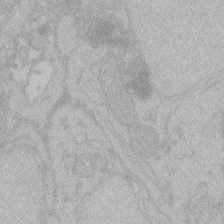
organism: Zebrafish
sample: Macrophage infected with Toxoplasma gondii